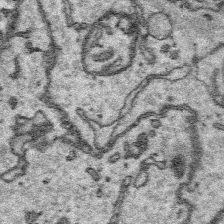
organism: Platynereis dumerilii